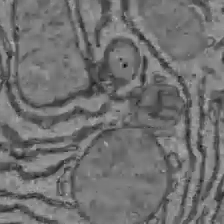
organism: C57BL Mouse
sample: Liver